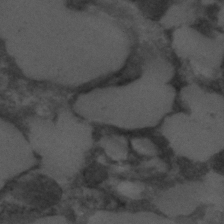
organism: C. elegans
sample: C. elegans embryo